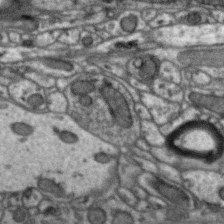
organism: Zebra finch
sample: Brain